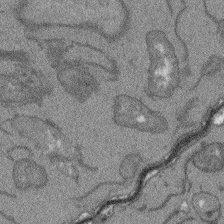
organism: Arabidopsis thaliana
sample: Root tip